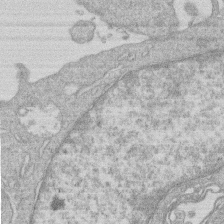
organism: Human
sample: Macrophage cells